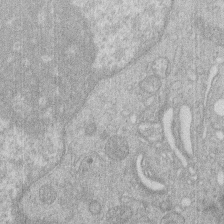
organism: Human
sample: Macrophage cells